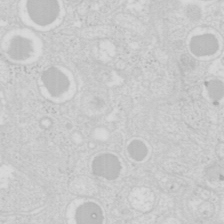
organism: Mouse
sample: Pancreas